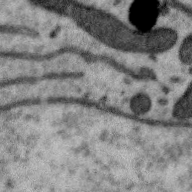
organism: Zebra finch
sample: Brain